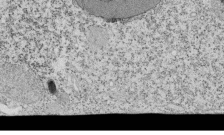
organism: Tetrahymena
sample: Cilia in tetrahymena